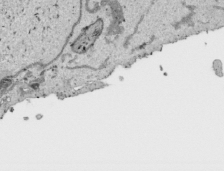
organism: Human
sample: Mitochondria in HCT116 cells